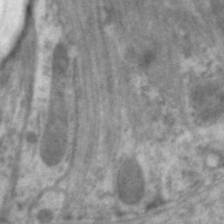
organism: C. elegans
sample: Pharynx